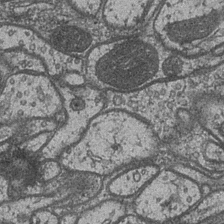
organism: Drosophila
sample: Optic medulla